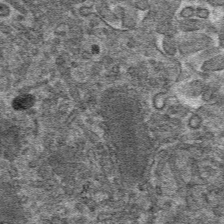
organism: Mouse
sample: Mouse hepatocytes